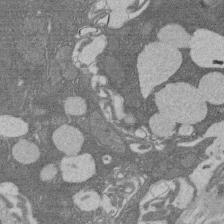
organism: Rat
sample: Salivary granule